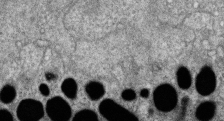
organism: Zebrafish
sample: Cilia; retinal pigment epithelium